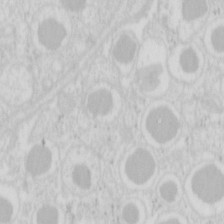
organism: Mouse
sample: Pancreas